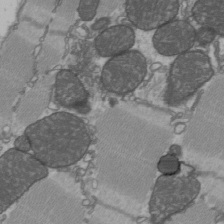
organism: C57BL Mouse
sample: Heart